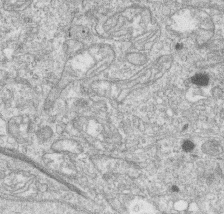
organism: Human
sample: HeLa cell HIV synapse